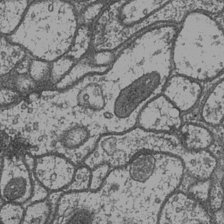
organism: Drosophila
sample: Optic medulla